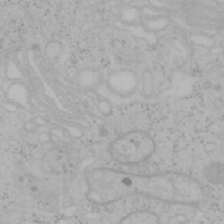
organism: Mouse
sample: OT-I killer T cells with ID8 ovarian cancer cells